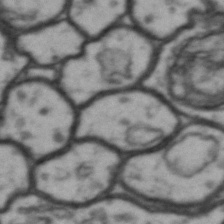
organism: Drosophila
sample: Brain